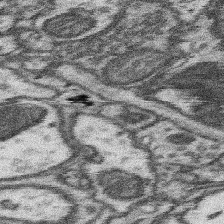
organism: Mouse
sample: Somatosensory cortex neuropil